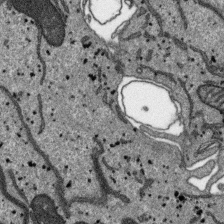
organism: Human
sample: Lung epithelial cells, uninfected (mock) control